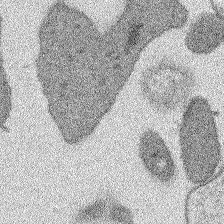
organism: Human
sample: HeLa cells